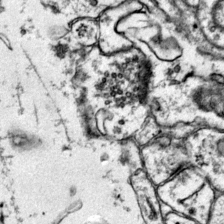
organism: Mouse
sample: Primary visual cortex